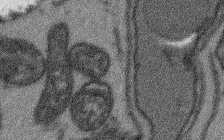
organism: Arabidopsis thaliana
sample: Root tip